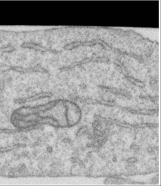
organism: Human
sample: Centriole in RPE cells